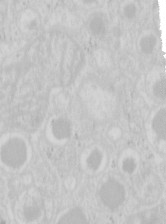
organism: Mouse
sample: Pancreas